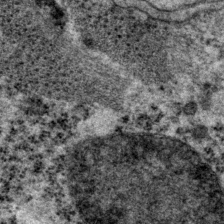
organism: P. pacificus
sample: Pharynx